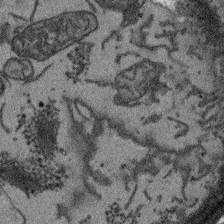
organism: Arabidopsis thaliana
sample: Root tip